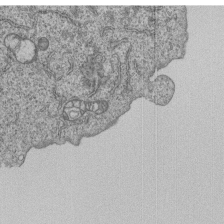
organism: Human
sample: MDA-MB-231 cells